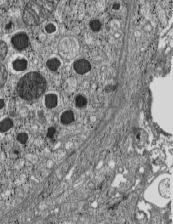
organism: C57BL Mouse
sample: Pancreatic islet